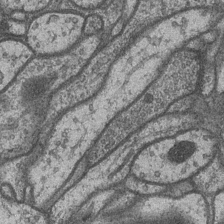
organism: Drosophila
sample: Optic medulla